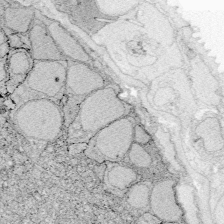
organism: Zebrafish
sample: Whole-Brain